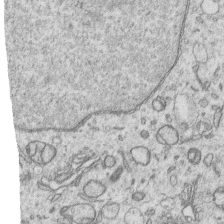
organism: Human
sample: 1205lu cells